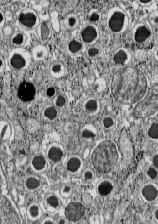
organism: C57BL Mouse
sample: Pancreatic islet